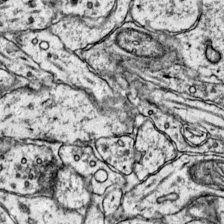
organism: Mouse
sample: Primary visual cortex